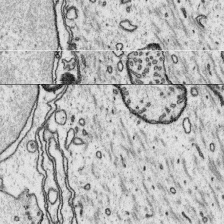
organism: Platynereis dumerilii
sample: Parapodia